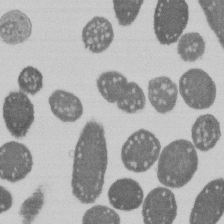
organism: E. coli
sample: Bacterial nucleoid